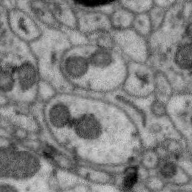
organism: Zebra finch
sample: Brain